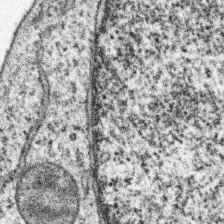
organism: Human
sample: HeLa cells